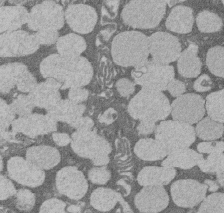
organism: Rat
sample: Salivary granule